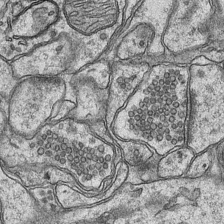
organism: Mouse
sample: CA1 Hippocampus